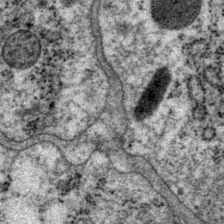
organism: P. pacificus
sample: Pharynx